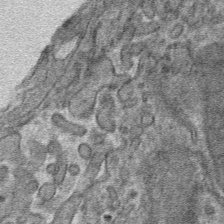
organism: Mouse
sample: Mouse hepatocytes